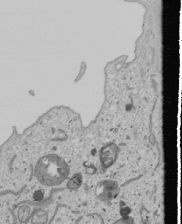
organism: Human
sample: Mitochondria in U2OS cells